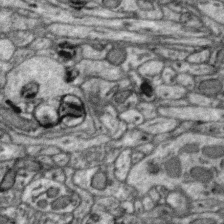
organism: Zebra finch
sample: Brain